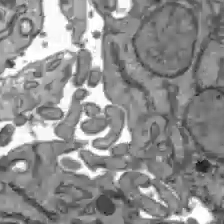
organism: C57BL Mouse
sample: Liver